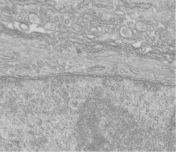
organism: Human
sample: Centriole in fibroblast cells